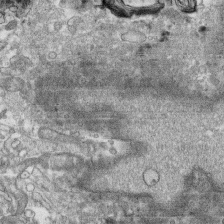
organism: Human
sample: CRL-1474